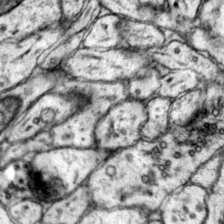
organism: Mouse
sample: Primary visual cortex